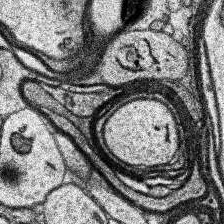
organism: Human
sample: Temporal Lobe